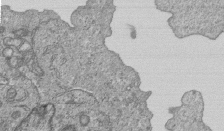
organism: Human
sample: MDA-MB-231 cells